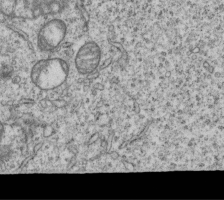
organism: Human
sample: MDA-MB-231 cells